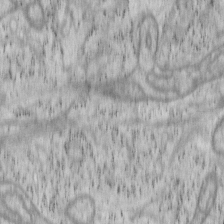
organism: Human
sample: HeLa cells